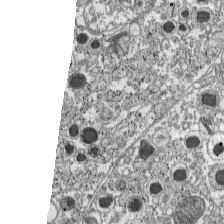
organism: C57BL Mouse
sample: Pancreatic islet